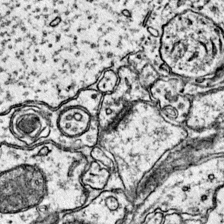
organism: Mouse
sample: Primary visual cortex